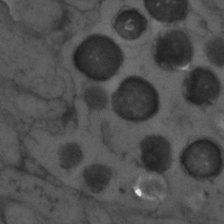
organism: Zebrafish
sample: Zebrafish embryo